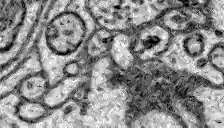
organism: Zebrafish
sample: Brain